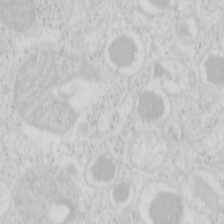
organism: Mouse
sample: Pancreas